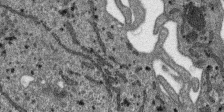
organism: Human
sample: Lung epithelial cells infected with SARS-CoV-2